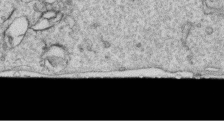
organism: Human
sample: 1205lu cells